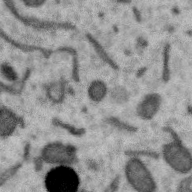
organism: Zebra finch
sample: Brain